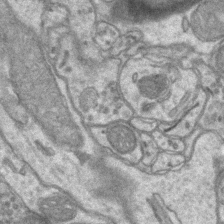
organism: Mouse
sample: CA1 Hippocampus